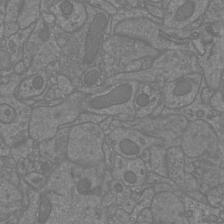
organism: Mouse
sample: Cortical neurons